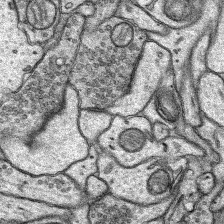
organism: Rat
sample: Hippocampus